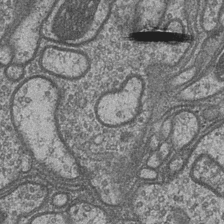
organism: Drosophila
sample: Optic medulla